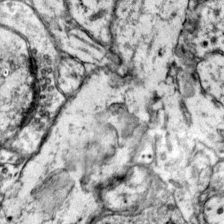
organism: Mouse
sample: Primary visual cortex